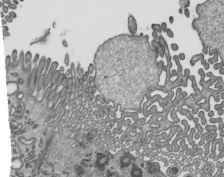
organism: Mouse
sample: Mouse epididymis efferent ductule cilia